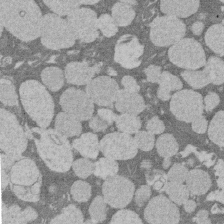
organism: Rat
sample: Salivary granule